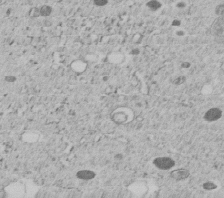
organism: C. elegans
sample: C. elegans embryo early stage